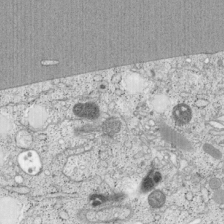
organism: African green monkey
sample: COS-7 cells